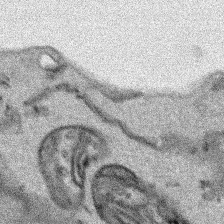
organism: Human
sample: Mitochondria in HCT116 cells